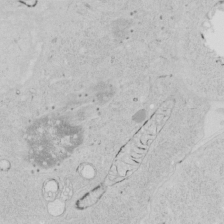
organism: Human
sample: Mitochondria in HCT116 cells